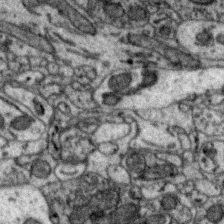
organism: Zebra finch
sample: Brain